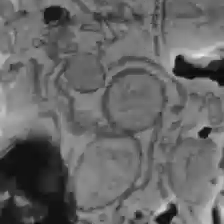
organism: C57BL Mouse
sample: Liver